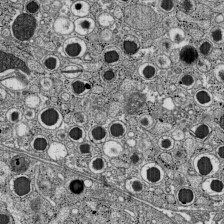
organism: C57BL Mouse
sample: Pancreatic islet